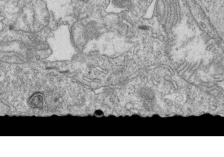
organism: Human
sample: HeLa cell HIV synapse